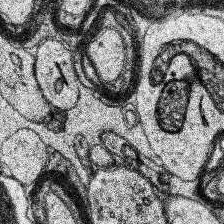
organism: Human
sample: Temporal Lobe